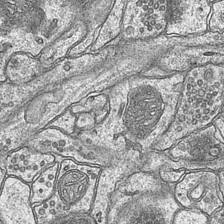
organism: Mouse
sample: CA1 Hippocampus